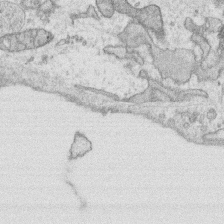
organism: Human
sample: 1205lu cells